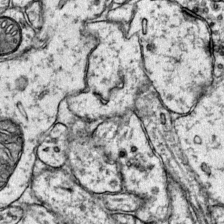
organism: Mouse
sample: Primary visual cortex